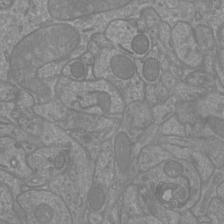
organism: Mouse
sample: Cortical neurons